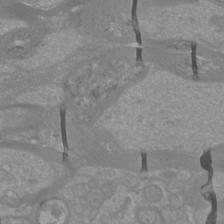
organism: Mouse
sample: Cortical neurons